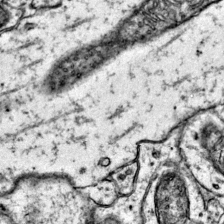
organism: Mouse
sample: Primary visual cortex